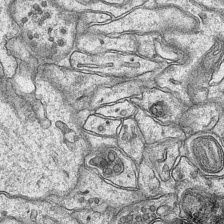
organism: Mouse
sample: CA1 Hippocampus